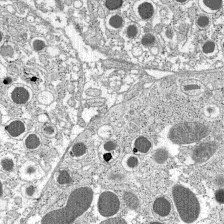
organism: C57BL Mouse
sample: Pancreatic islet